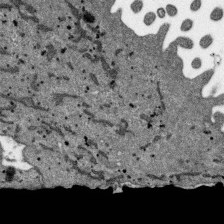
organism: Human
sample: Lung epithelial cells, uninfected (mock) control